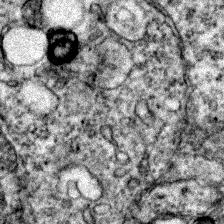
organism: Zebrafish